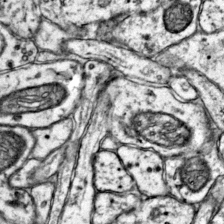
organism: Mouse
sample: Primary visual cortex